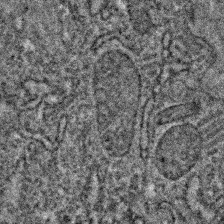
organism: C. elegans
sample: C. elegans embryo